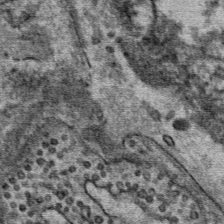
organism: Mouse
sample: Mouse Salivary gland